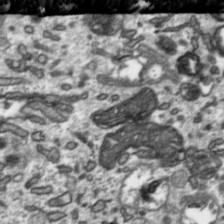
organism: Toxoplasma gondii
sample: Parasites in a vacuole inside a host cell